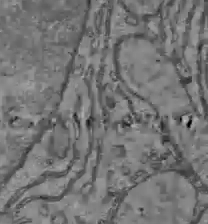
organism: C57BL Mouse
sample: Liver